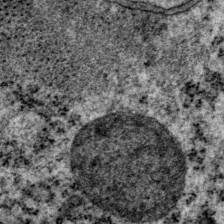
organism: P. pacificus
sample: Pharynx